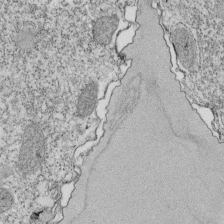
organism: Tetrahymena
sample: Cilia in tetrahymena